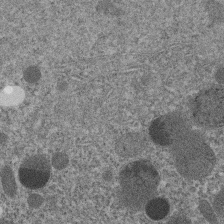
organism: C. elegans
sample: C. elegans embryo early stage